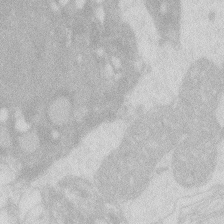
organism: Zebrafish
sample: Macrophage